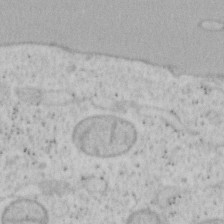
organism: Human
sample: HeLa cells